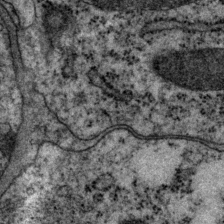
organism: P. pacificus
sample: Pharynx